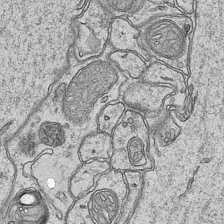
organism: Mouse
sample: CA1 Hippocampus